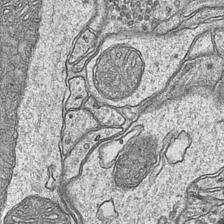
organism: Mouse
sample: CA1 Hippocampus